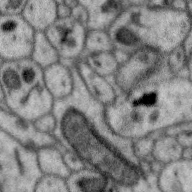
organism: Zebra finch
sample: Brain